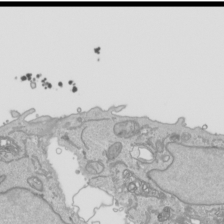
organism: Human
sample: Mitochondria in HCT116 cells